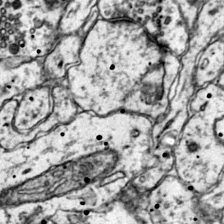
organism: Mouse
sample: Primary visual cortex